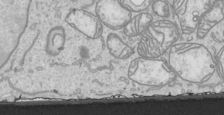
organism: Human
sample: Mitochondria in HCT116 cells